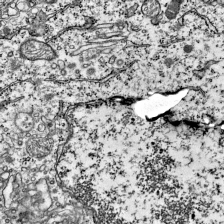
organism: Mouse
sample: Visual Cortex